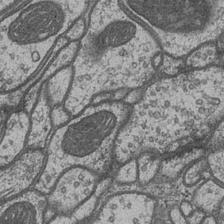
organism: Drosophila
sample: Optic medulla